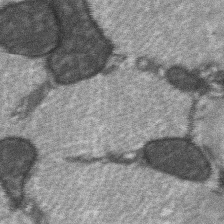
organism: C57BL Mouse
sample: Soleus